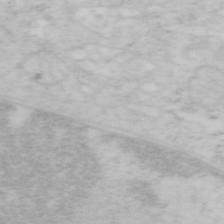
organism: Mouse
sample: OT-I killer T cells with ID8 ovarian cancer cells